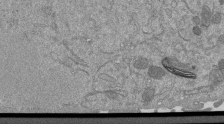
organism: Mouse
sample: ED-1 cell nuclei; centrioles